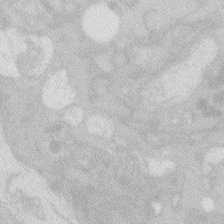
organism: Zebrafish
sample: Macrophage